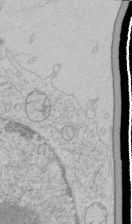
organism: Human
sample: Mitochondria in HCT116 cells